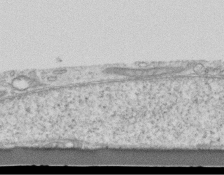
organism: Mouse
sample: Centriole in ependymal cells